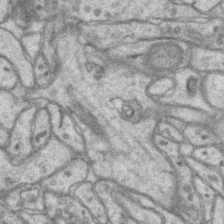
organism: Mouse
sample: CA1 Hippocampus